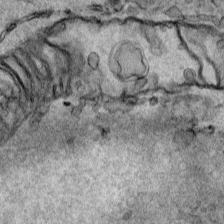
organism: Human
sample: Mitochondria in HCT116 cells